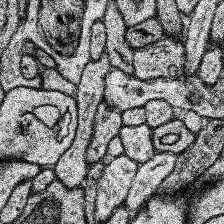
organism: Human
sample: Temporal Lobe